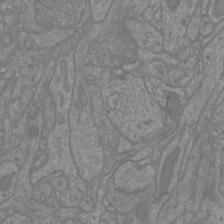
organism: Mouse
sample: Cortical neurons